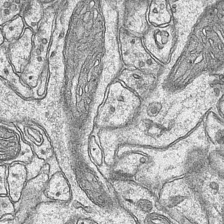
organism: Mouse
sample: CA1 Hippocampus